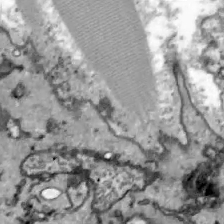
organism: Zebrafish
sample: Actinotrichia fibers